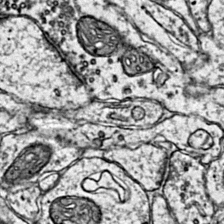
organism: Mouse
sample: Primary visual cortex